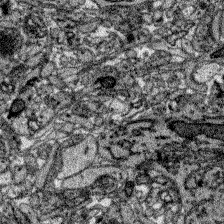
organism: Zebrafish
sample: Larval olfactory bulb